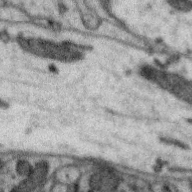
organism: Zebra finch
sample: Brain